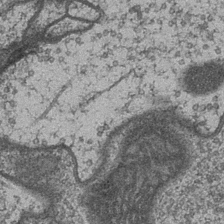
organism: Drosophila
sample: Optic medulla